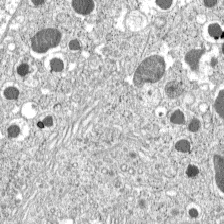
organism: C57BL Mouse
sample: Pancreatic islet